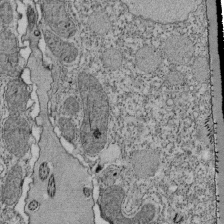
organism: Tetrahymena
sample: Cilia in tetrahymena